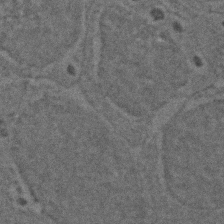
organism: Zebrafish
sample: Zebrafish embryo